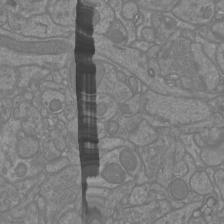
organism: Mouse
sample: Cortical neurons